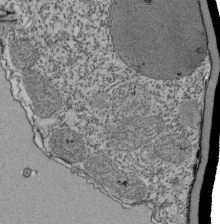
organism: Tetrahymena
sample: Cilia in tetrahymena